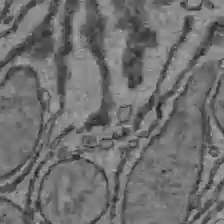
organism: C57BL Mouse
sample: Liver